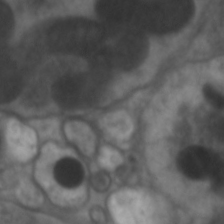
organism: C. elegans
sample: Pharynx